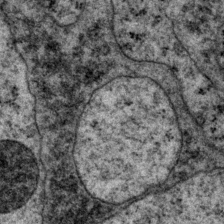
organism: P. pacificus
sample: Pharynx